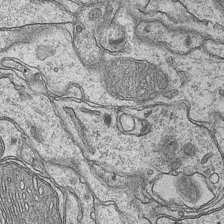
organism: Mouse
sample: CA1 Hippocampus